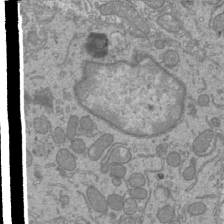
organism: Mouse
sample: Cilia; mouse epididymis